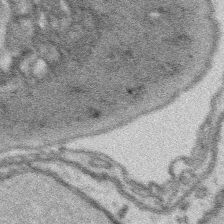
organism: Platynereis dumerilii